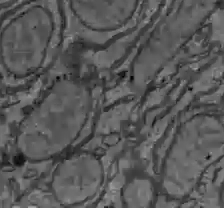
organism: C57BL Mouse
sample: Liver